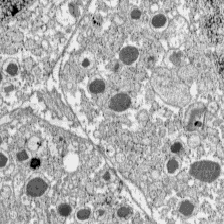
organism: C57BL Mouse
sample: Pancreatic islet